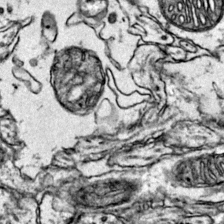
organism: Mouse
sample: Primary visual cortex